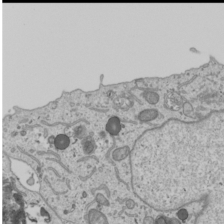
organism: Human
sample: Mitochondria in U2OS cells